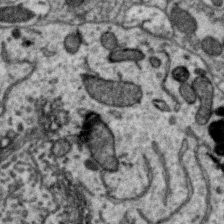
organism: Zebra finch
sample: Brain